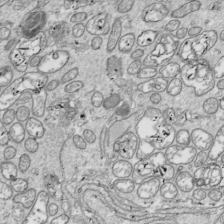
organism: Drosophila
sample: Cell division; meiosis; drosophila spermatocytes